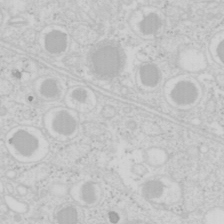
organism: Mouse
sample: Pancreas